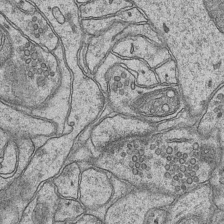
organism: Mouse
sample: CA1 Hippocampus